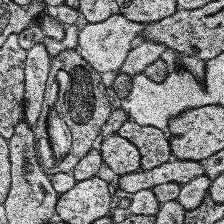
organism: Human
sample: Temporal Lobe